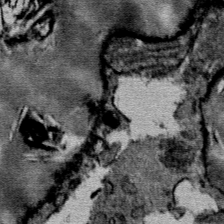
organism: Mouse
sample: Mouse Salivary gland